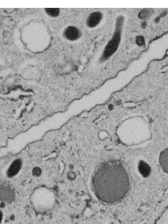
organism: C. elegans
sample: C. elegans embryo early stage